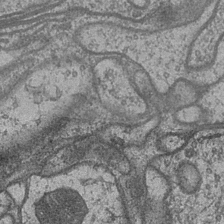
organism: Drosophila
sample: Optic medulla